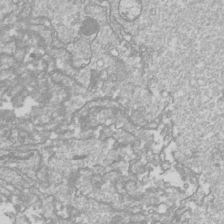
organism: Drosophila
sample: Cell division; meiosis; drosophila spermatocytes